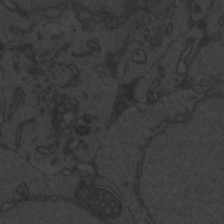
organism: Zebrafish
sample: Macrophage infected with Toxoplasma gondii